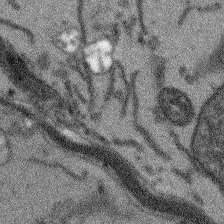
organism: Arabidopsis thaliana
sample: Root tip